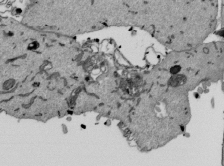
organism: Mouse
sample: ED-1 cell nuclei; centrioles